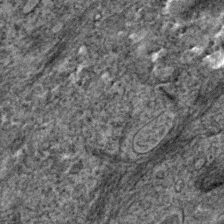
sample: Trachea